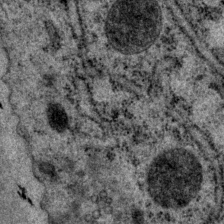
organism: P. pacificus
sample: Pharynx